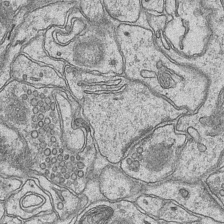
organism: Mouse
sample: CA1 Hippocampus